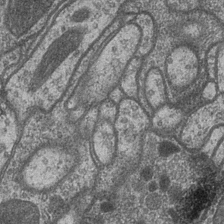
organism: Drosophila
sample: Optic medulla